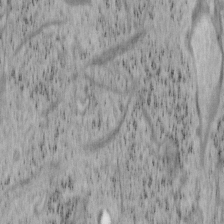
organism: Human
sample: HeLa cells